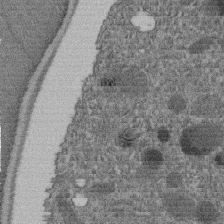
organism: C. elegans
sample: C. elegans embryo early stage